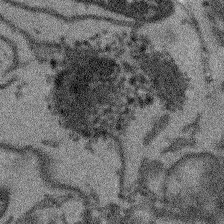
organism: Arabidopsis thaliana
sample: Root tip